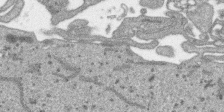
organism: Human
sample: Lung epithelial cells infected with SARS-CoV-2